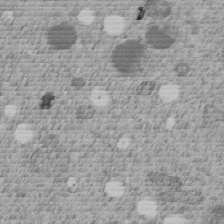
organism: C. elegans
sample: C. elegans embryo early stage